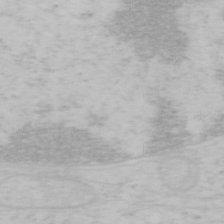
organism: Mouse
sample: OT-I killer T cells with ID8 ovarian cancer cells